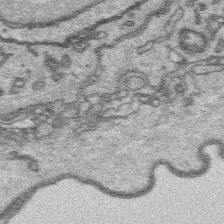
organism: Platynereis dumerilii